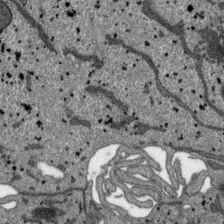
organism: Human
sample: Lung epithelial cells, uninfected (mock) control